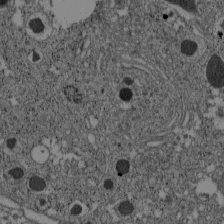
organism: C57BL Mouse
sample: Pancreatic islet